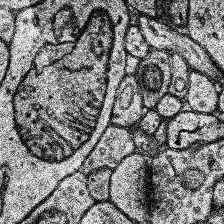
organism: Human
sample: Temporal Lobe